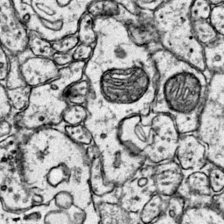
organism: Mouse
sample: Primary visual cortex